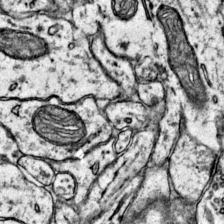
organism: Mouse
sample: Primary visual cortex